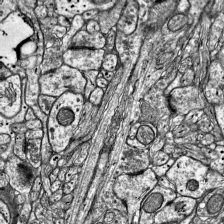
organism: Mouse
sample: Visual Cortex